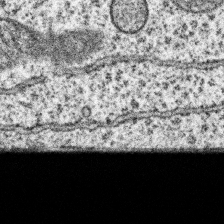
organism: Human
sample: HeLa cells